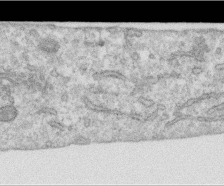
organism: Human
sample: Centriole in RPE cells